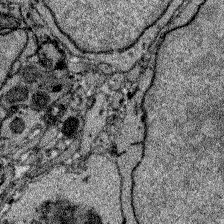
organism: Zebrafish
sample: Larval olfactory bulb